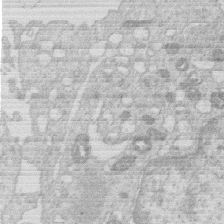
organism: Human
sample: Macrophage cells